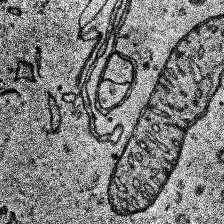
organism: Human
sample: Temporal Lobe